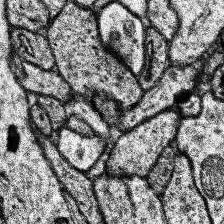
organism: Human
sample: Temporal Lobe